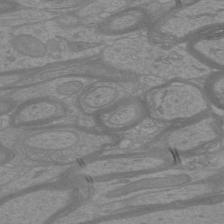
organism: Mouse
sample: Cortical neurons